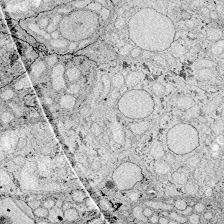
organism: Zebrafish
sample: Whole-Brain